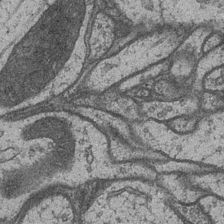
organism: Drosophila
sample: Optic medulla